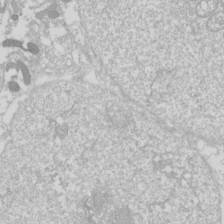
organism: Drosophila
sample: Cell division; meiosis; drosophila spermatocytes